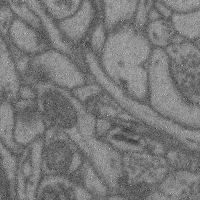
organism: Mouse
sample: Cerebral cortex